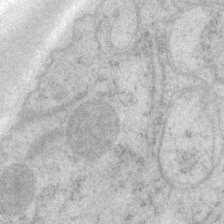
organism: P. pacificus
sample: Pharynx